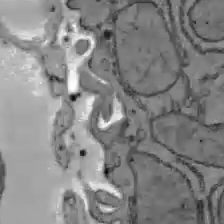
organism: C57BL Mouse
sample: Liver